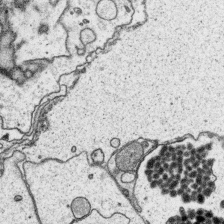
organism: Platynereis dumerilii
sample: Parapodia